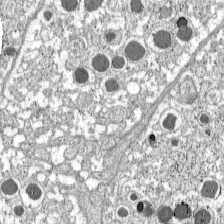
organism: C57BL Mouse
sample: Pancreatic islet